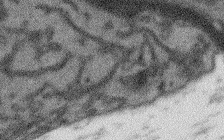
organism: Arabidopsis thaliana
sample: Root tip